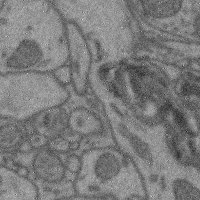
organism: Mouse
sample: Cerebral cortex